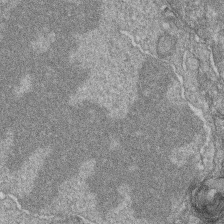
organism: Zebrafish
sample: Cilia; retinal pigment epithelium